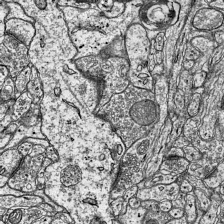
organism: Mouse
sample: Visual Cortex